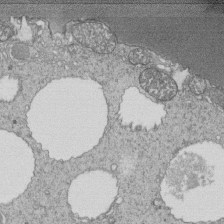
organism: Tetrahymena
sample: Cilia in tetrahymena